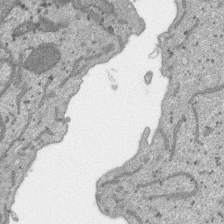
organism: Human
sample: Lung epithelial cells infected with SARS-CoV-2